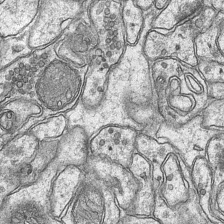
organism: Mouse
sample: CA1 Hippocampus